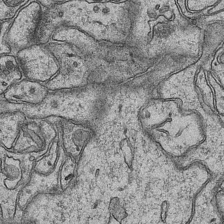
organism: Mouse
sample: CA1 Hippocampus